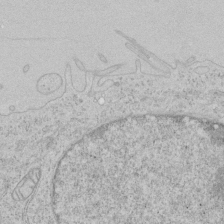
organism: Human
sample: Mitochondria in HCT116 cells